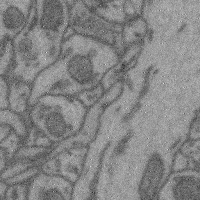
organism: Mouse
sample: Cerebral cortex